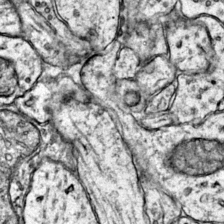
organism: Mouse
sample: Primary visual cortex